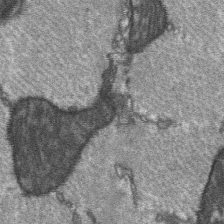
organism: C57BL Mouse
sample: Soleus